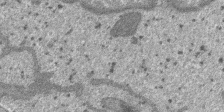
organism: Human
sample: Lung epithelial cells infected with SARS-CoV-2